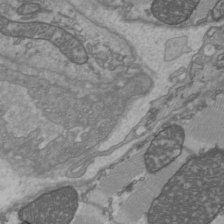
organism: C57BL Mouse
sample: Heart